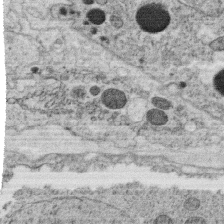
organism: C. elegans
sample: C. elegans oocyte; sperm cells